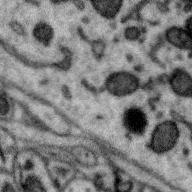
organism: Zebra finch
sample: Brain